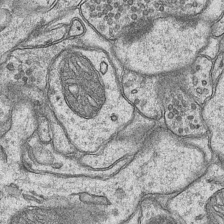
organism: Mouse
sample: CA1 Hippocampus